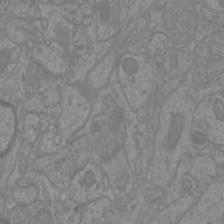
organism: Mouse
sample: Cortical neurons